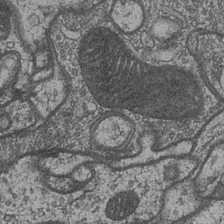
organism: Drosophila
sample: Optic medulla